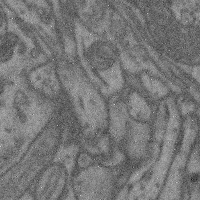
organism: Mouse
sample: Cerebral cortex